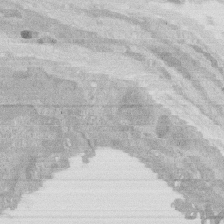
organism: Rat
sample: Salivary granule